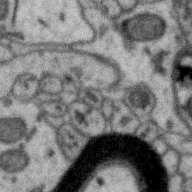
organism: Zebra finch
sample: Brain